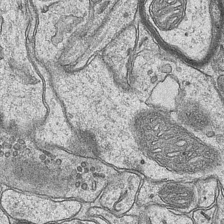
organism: Mouse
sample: CA1 Hippocampus